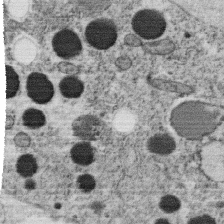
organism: C. elegans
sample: C. elegans oocyte; sperm cells